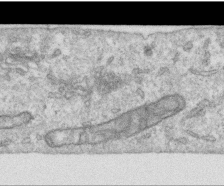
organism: Human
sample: Centriole in RPE cells